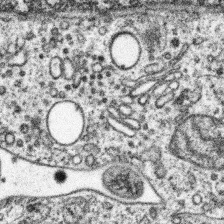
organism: Human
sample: HeLa cells